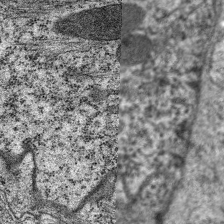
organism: C. elegans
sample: Pharynx